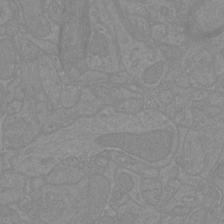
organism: Mouse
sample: Cortical neurons